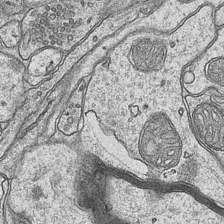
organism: Mouse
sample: CA1 Hippocampus